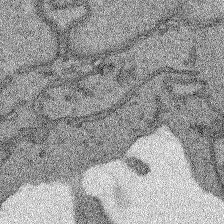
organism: Human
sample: HeLa cells